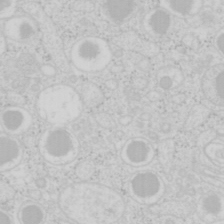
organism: Mouse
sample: Pancreas